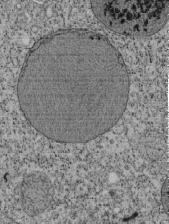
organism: Tetrahymena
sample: Cilia in tetrahymena